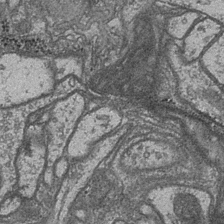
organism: Drosophila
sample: Optic medulla